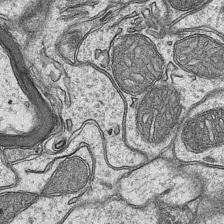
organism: Mouse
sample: CA1 Hippocampus